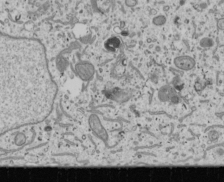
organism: Human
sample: Mitochondria in U2OS cells